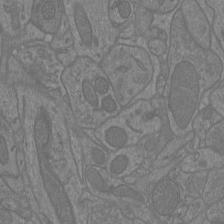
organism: Mouse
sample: Cortical neurons